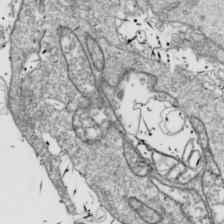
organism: Drosophila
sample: Cell division; meiosis; drosophila spermatocytes